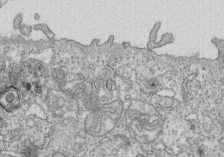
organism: Human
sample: HeLa cell HIV synapse